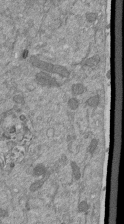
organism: Mouse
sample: ED-1 cell nuclei; centrioles